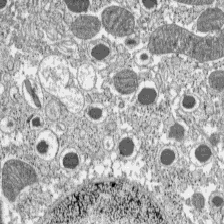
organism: C57BL Mouse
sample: Pancreatic islet